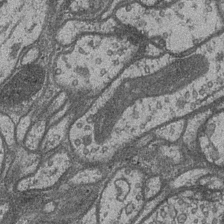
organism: Drosophila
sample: Optic medulla